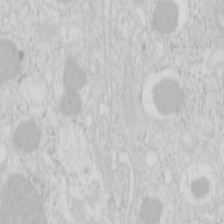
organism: Mouse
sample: Pancreas